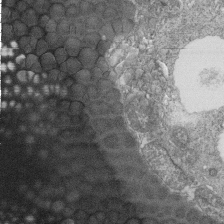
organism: Tetrahymena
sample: Cilia in tetrahymena